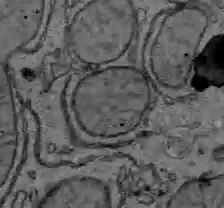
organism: C57BL Mouse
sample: Liver